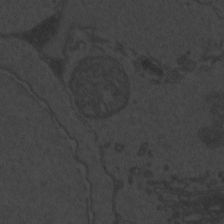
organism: Zebrafish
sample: Macrophage infected with Toxoplasma gondii